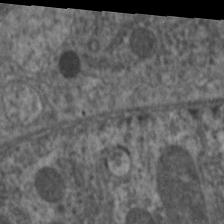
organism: C. elegans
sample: Pharynx